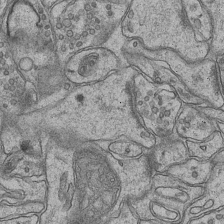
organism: Mouse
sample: CA1 Hippocampus